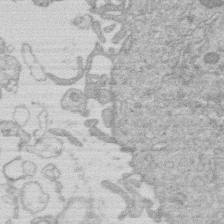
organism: Human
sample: Macrophage cells